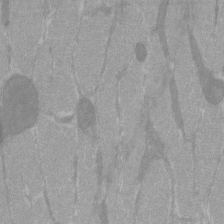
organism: C57BL Mouse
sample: Tibialis anterior muscle cell